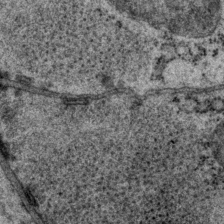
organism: P. pacificus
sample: Pharynx